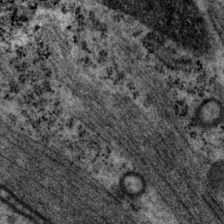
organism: P. pacificus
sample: Pharynx